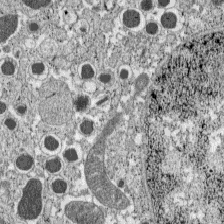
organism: C57BL Mouse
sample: Pancreatic islet